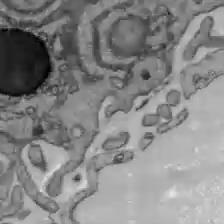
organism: C57BL Mouse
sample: Liver